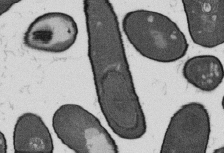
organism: B. subtilis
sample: Bacterial spore